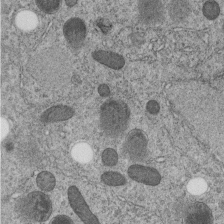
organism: C. elegans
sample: C. elegans embryo early stage